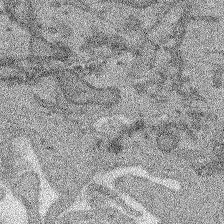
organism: Human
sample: HeLa cells